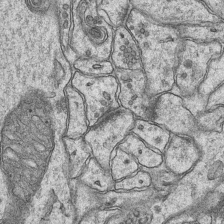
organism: Mouse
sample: CA1 Hippocampus